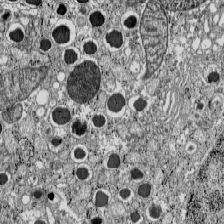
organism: C57BL Mouse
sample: Pancreatic islet